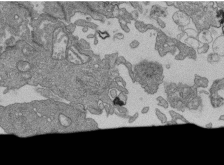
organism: Human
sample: Retinal organoid Rod and Cone cells